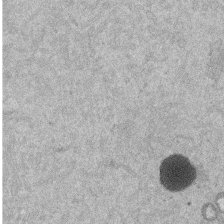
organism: Mouse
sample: Dividing mouse embryo 1 cell stage